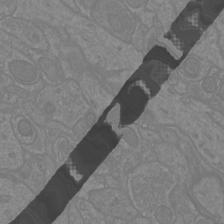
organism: Mouse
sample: Cortical neurons